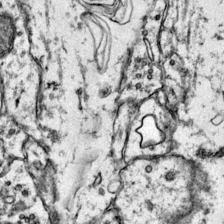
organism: Mouse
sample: Primary visual cortex